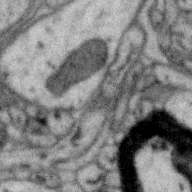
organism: Zebra finch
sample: Brain